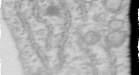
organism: Human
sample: Centriole in RPE cells